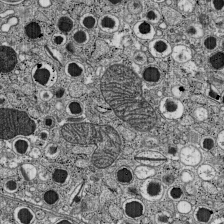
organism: C57BL Mouse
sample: Pancreatic islet